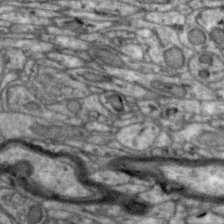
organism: Zebra finch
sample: Brain